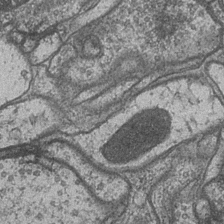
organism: Drosophila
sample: Optic medulla